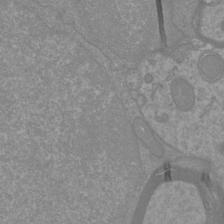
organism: Mouse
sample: Cortical neurons